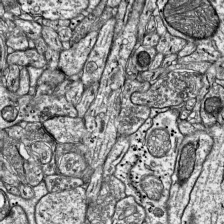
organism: Mouse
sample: Visual Cortex